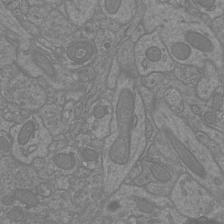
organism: Mouse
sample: Cortical neurons